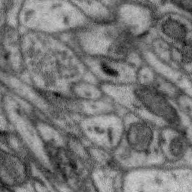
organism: Zebra finch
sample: Brain